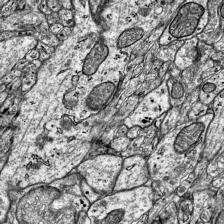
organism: Mouse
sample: Visual Cortex